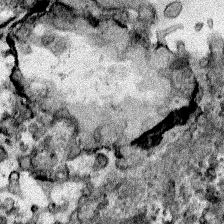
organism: Human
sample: Mitochondria in HCT116 cells